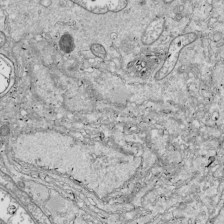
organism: Drosophila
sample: Cell division; meiosis; drosophila spermatocytes